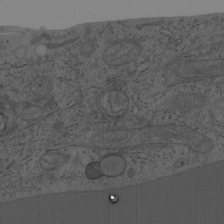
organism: Human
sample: HeLa cells